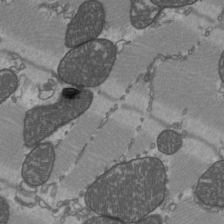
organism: C57BL Mouse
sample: Heart